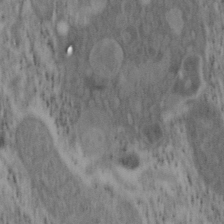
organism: Mouse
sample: OT-I killer T cells with ID8 ovarian cancer cells